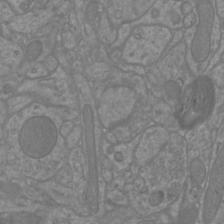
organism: Mouse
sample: Cortical neurons